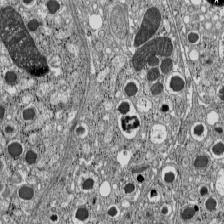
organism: C57BL Mouse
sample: Pancreatic islet